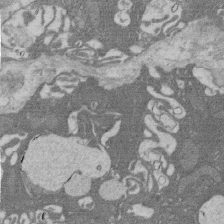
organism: Rat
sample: Salivary granule